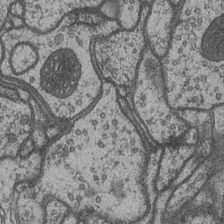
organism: Drosophila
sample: Optic medulla